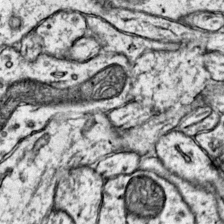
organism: Mouse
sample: Primary visual cortex